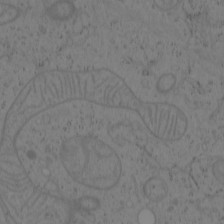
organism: Human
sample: HeLa cells